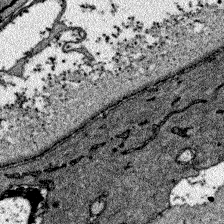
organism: Zebrafish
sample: Larval olfactory bulb